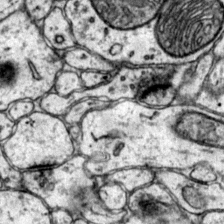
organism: Mouse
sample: Primary visual cortex